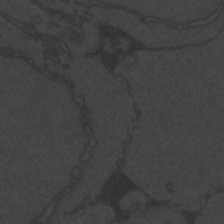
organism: Zebrafish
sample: Macrophage infected with Toxoplasma gondii